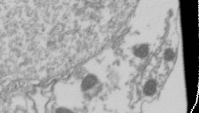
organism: Drosophila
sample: Cell division; meiosis; drosophila spermatocytes